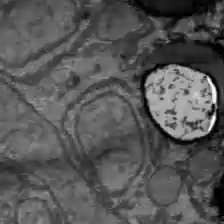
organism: C57BL Mouse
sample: Liver